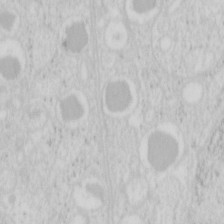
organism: Mouse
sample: Pancreas